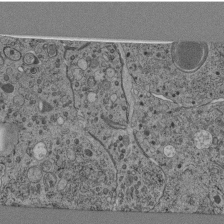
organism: C. elegans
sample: C. elegans pharynx